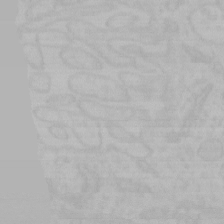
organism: Mouse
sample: Choroid plexus